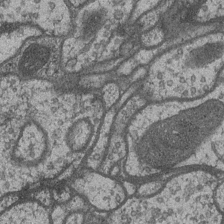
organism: Drosophila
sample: Optic medulla